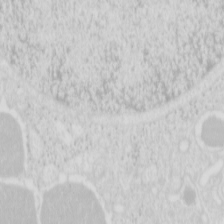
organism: Mouse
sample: Pancreas